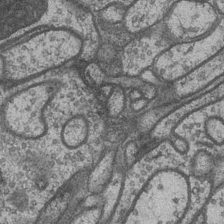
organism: Drosophila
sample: Optic medulla